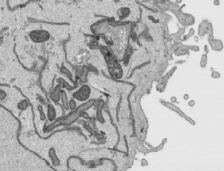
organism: Human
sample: Mitochondria in HCT116 cells